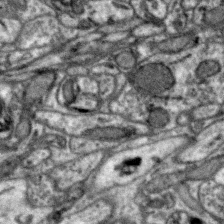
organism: Zebra finch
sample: Brain